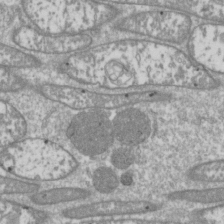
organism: Drosophila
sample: Cell division; meiosis; drosophila spermatocytes